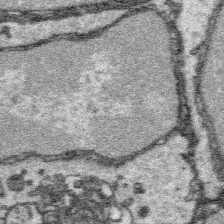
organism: Platynereis dumerilii